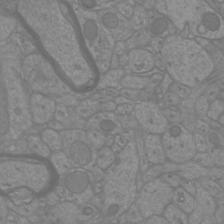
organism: Mouse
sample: Cortical neurons